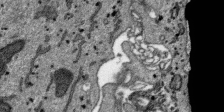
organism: Human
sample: Lung epithelial cells, uninfected (mock) control